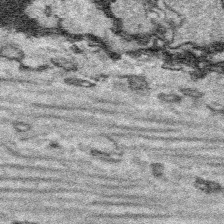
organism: Platynereis dumerilii